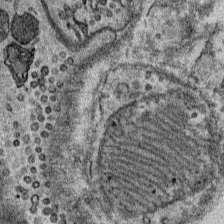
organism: Mouse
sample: Mouse Salivary gland